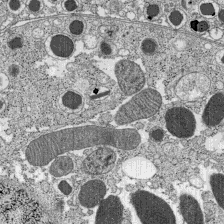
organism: C57BL Mouse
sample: Pancreatic islet